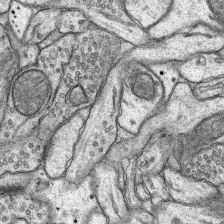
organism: Rat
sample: Hippocampus